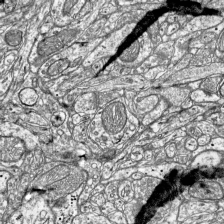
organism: Mouse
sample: Visual Cortex